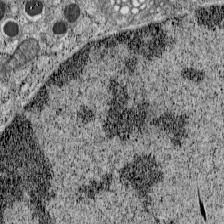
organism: C57BL Mouse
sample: Pancreatic islet